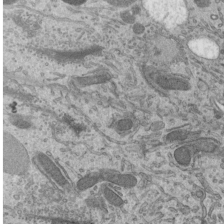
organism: Mouse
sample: Mouse epididymis efferent ductule cilia